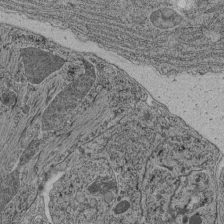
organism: C. elegans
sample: C. elegans pharynx